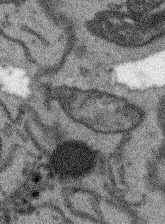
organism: Arabidopsis thaliana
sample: Root tip